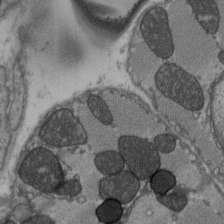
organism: C57BL Mouse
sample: Heart